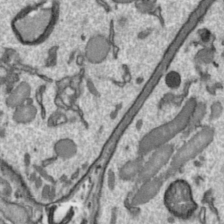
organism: Toxoplasma gondii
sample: Parasites in a vacuole inside a host cell